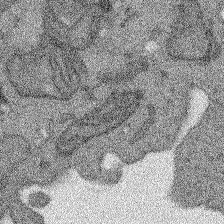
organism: Human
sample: HeLa cells